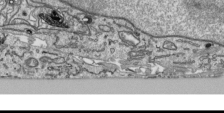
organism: Human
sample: Mitochondria in HCT116 cells